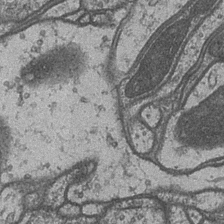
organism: Drosophila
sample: Optic medulla